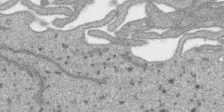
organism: Human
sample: Lung epithelial cells infected with SARS-CoV-2